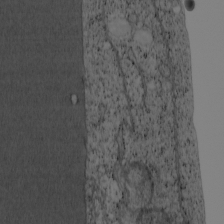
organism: African green monkey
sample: COS-7 cells